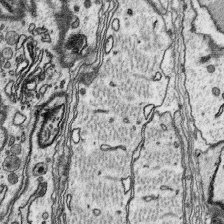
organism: Platynereis dumerilii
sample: Parapodia